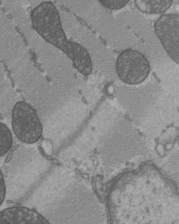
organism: C57BL Mouse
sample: Heart